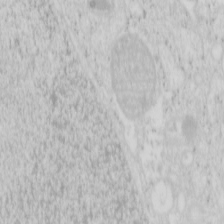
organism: Mouse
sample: Pancreas